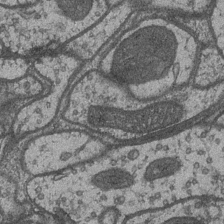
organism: Drosophila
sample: Optic medulla